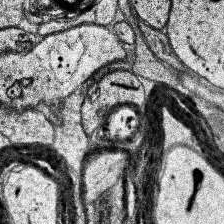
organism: Human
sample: Temporal Lobe